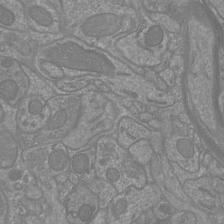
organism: Mouse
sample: Cortical neurons